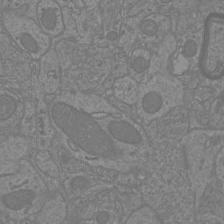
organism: Mouse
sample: Cortical neurons